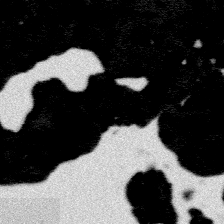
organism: Platynereis dumerilii